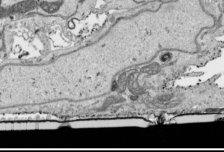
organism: Human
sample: Mitochondria in HCT116 cells